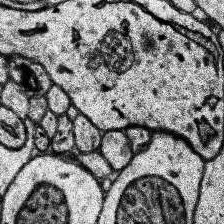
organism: Human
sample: Temporal Lobe